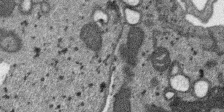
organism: Human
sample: Lung epithelial cells infected with SARS-CoV-2